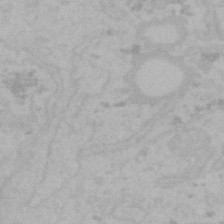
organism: Mouse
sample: Choroid plexus